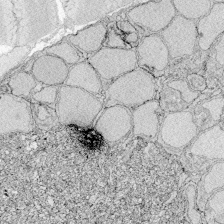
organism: Zebrafish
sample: Whole-Brain